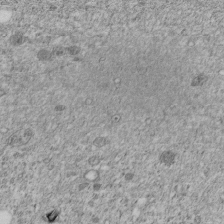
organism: C. elegans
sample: C. elegans embryo early stage